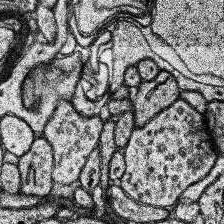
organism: Human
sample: Temporal Lobe